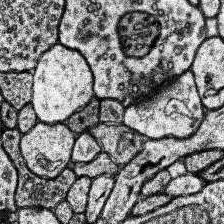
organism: Human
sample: Temporal Lobe